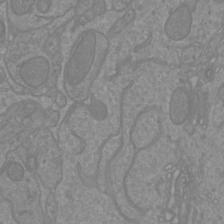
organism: Mouse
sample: Cortical neurons